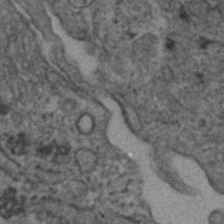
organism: Human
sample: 1205lu cells